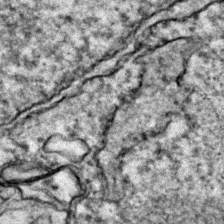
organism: Zebrafish